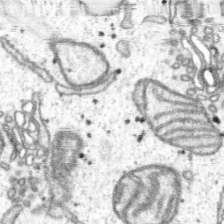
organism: Human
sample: HeLa cells